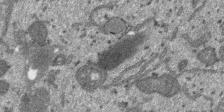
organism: Human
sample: Lung epithelial cells infected with SARS-CoV-2